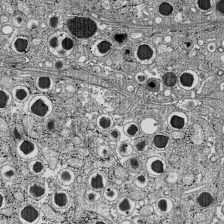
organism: C57BL Mouse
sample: Pancreatic islet